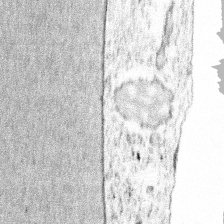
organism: Human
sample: HeLa cells